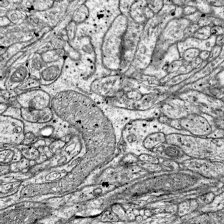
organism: Mouse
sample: Visual Cortex